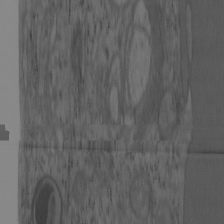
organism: Human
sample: HeLa cells